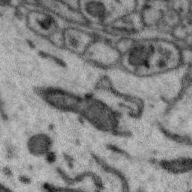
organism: Zebra finch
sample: Brain